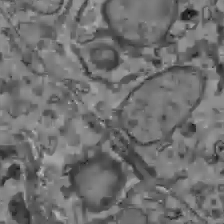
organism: C57BL Mouse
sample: Liver